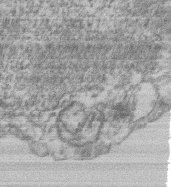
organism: Mouse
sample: T cell stromal cell synapse